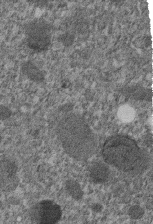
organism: C. elegans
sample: C. elegans embryo early stage